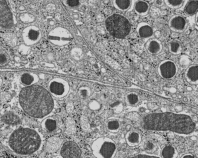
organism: C57BL Mouse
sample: Pancreatic islet